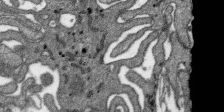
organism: Human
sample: Lung epithelial cells, uninfected (mock) control